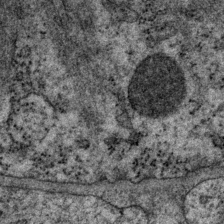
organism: P. pacificus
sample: Pharynx